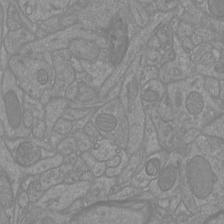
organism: Mouse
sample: Cortical neurons